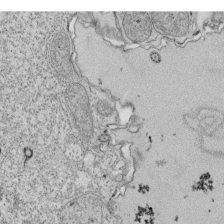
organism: Tetrahymena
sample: Cilia in tetrahymena